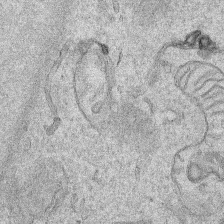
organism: Human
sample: Mitochondria in HCT116 cells